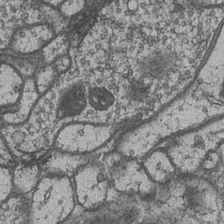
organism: Drosophila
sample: Optic medulla